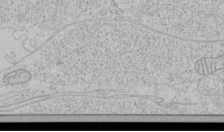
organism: Human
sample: Mitochondria in HCT116 cells